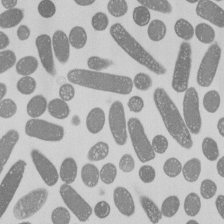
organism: E. coli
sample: Bacterial nucleoid